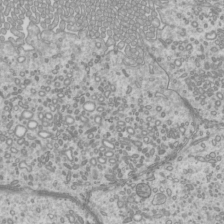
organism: Mouse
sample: Cilia; mouse epididymis